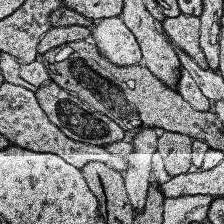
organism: Human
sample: Temporal Lobe